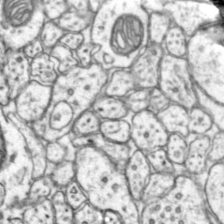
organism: Mouse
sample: Primary visual cortex